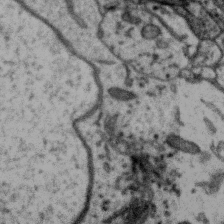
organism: Zebra finch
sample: Brain